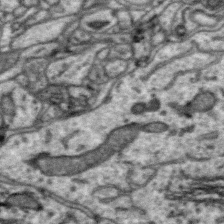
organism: Zebra finch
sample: Brain